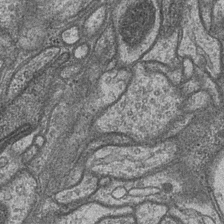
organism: Drosophila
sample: Optic medulla